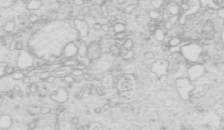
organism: Mouse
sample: Multiciliated cells